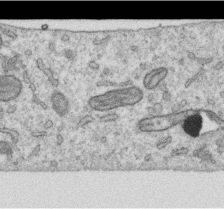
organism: Human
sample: Centriole in RPE cells